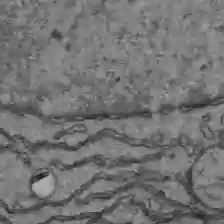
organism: C57BL Mouse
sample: Liver